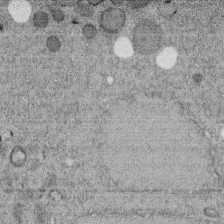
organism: C. elegans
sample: C. elegans embryo early stage